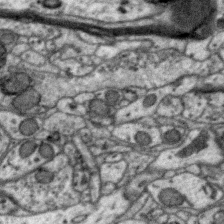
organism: Zebra finch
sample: Brain